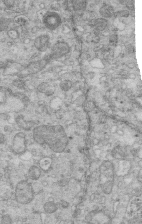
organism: Mouse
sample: Multiciliated cells